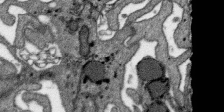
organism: Human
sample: Lung epithelial cells, uninfected (mock) control